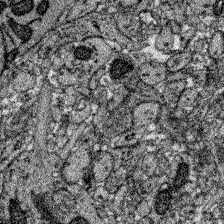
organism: Zebrafish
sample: Larval olfactory bulb